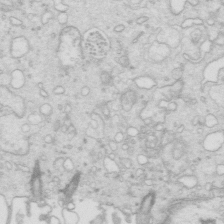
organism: Mouse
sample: Multiciliated cells